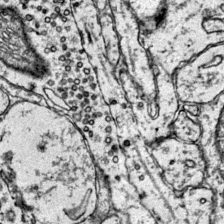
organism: Mouse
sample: Primary visual cortex